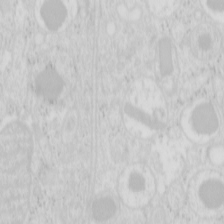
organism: Mouse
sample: Pancreas